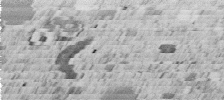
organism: C. elegans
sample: C. elegans embryo early stage